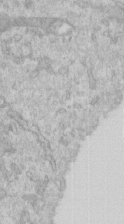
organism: Human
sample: Centriole in RPE cells